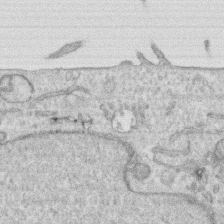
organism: Human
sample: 1205lu cells